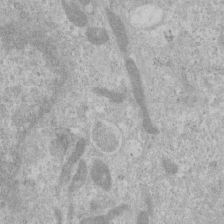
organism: Human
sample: Centriole in RPE cells